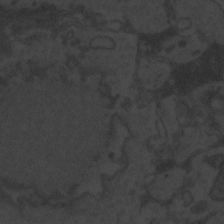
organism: Zebrafish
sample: Macrophage infected with Toxoplasma gondii